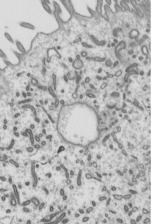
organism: Mouse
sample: Mouse epididymis efferent ductule cilia